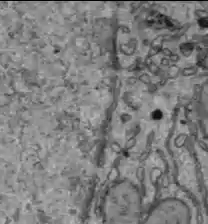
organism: C57BL Mouse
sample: Liver